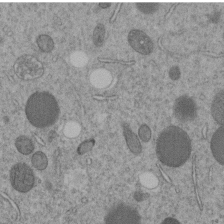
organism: C. elegans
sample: C. elegans embryo early stage